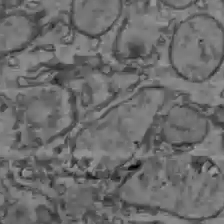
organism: C57BL Mouse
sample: Liver